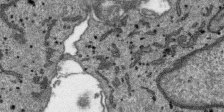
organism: Human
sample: Lung epithelial cells, uninfected (mock) control